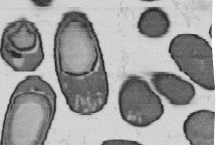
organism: B. subtilis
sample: Bacterial spore